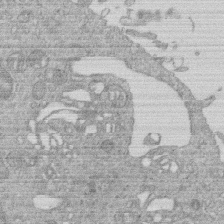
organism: Human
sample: Macrophage cells